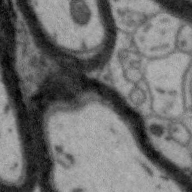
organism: Zebra finch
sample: Brain